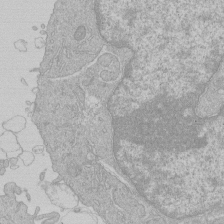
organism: Human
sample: Macrophage cells